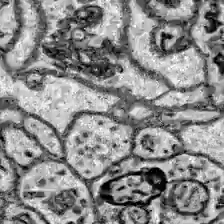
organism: Zebrafish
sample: Brain